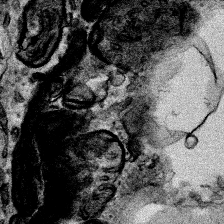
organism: Human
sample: Mitochondria in HCT116 cells